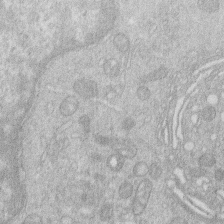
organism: Human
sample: Macrophage cells